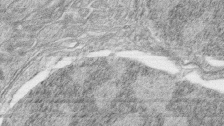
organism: Zebrafish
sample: synaptic ribbons in rod cells and cone cells